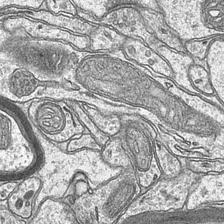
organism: Mouse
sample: CA1 Hippocampus